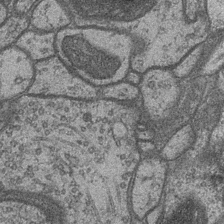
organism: Drosophila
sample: Optic medulla